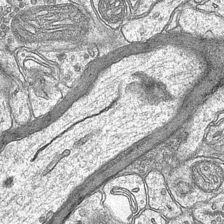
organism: Mouse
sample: CA1 Hippocampus